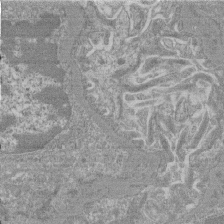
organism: Mouse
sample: Glomerulus